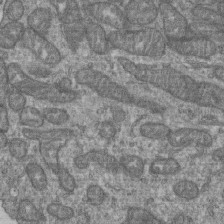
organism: Human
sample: Retinal organoid Rod and Cone cells